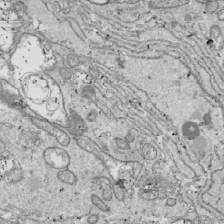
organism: Drosophila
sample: Cell division; meiosis; drosophila spermatocytes